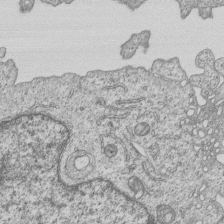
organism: Human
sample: MDA-MB-231 cells